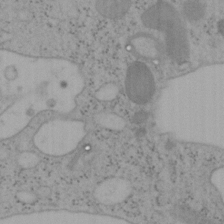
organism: Mouse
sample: OT-I killer T cells with ID8 ovarian cancer cells